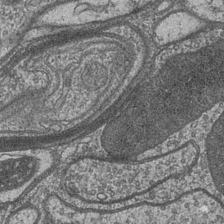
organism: Drosophila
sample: Optic medulla